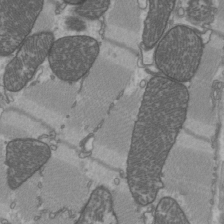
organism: C57BL Mouse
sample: Heart